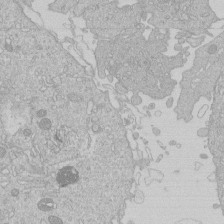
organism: Human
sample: Macrophage cells